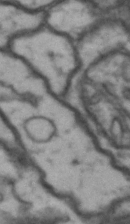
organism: Drosophila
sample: Brain